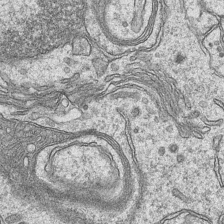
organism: Mouse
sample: CA1 Hippocampus